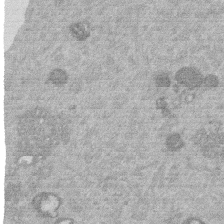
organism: Mouse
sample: Dividing mouse embryo 1 cell stage